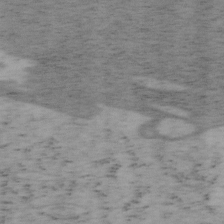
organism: Mouse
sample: OT-I killer T cells with ID8 ovarian cancer cells